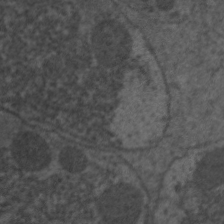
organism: C. elegans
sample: Pharynx